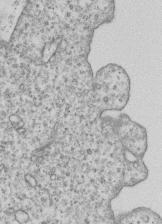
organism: Human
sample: MDA-MB-231 cells